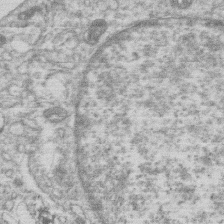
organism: Human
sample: Macrophage cells